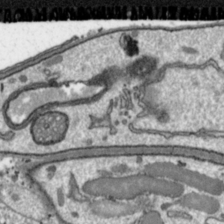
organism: Toxoplasma gondii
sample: Parasites in a vacuole inside a host cell